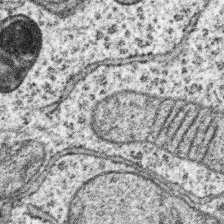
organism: Human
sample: HeLa cells